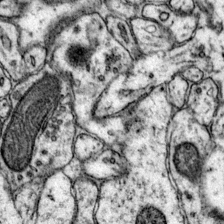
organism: Mouse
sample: Primary visual cortex